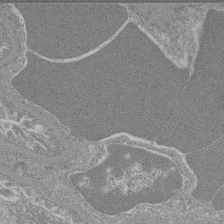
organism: Mouse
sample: Glomerulus